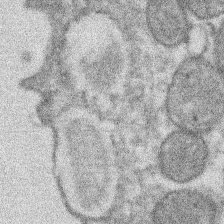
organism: Xenopus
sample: Cilia; centrioles in frog embryo cells